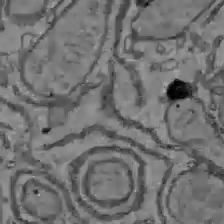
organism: C57BL Mouse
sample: Liver